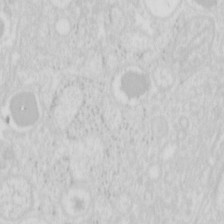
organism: Mouse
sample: Pancreas